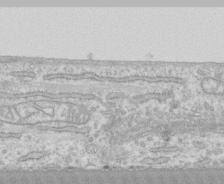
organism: Human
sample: CRL-1474